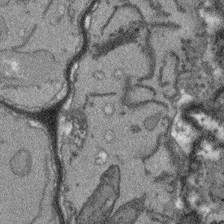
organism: Arabidopsis thaliana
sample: Root tip